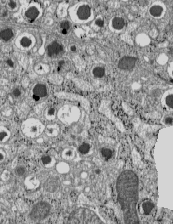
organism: C57BL Mouse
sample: Pancreatic islet